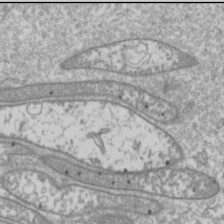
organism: Drosophila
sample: Cell division; meiosis; drosophila spermatocytes